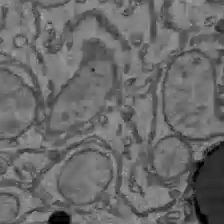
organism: C57BL Mouse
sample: Liver